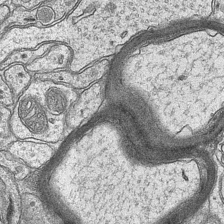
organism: Mouse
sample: CA1 Hippocampus